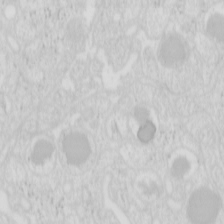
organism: Mouse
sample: Pancreas